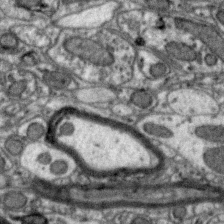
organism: Zebra finch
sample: Brain